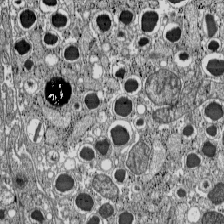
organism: C57BL Mouse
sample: Pancreatic islet